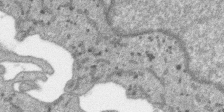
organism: Human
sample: Lung epithelial cells infected with SARS-CoV-2